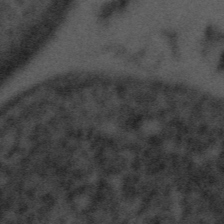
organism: Tuwongella immobilis